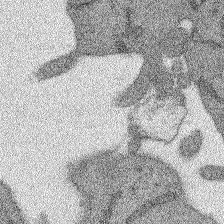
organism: Human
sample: HeLa cells